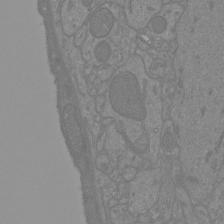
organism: Mouse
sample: Cortical neurons